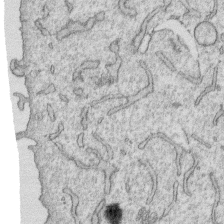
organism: Human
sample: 1205lu cells